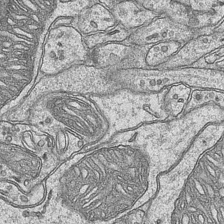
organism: Mouse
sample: CA1 Hippocampus